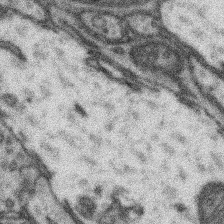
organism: Mouse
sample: Somatosensory cortex neuropil